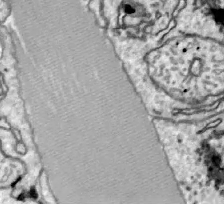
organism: Zebrafish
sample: Actinotrichia fibers